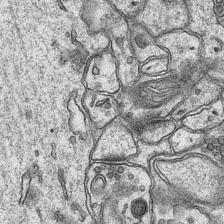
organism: Mouse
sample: CA1 Hippocampus